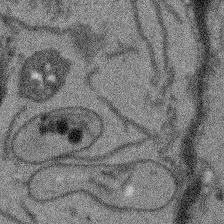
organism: Arabidopsis thaliana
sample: Root tip